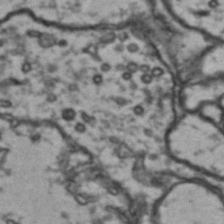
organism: Drosophila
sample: Brain